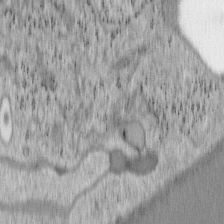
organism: Human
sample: HeLa cells